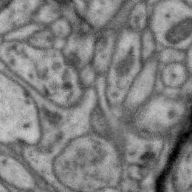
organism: Zebra finch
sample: Brain